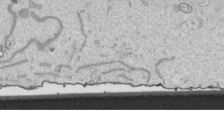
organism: Human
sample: Mitochondria in HCT116 cells